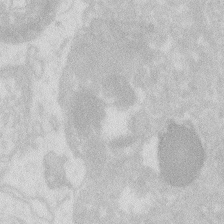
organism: Zebrafish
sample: Macrophage